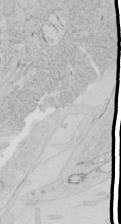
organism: Human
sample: Mitochondria in HCT116 cells